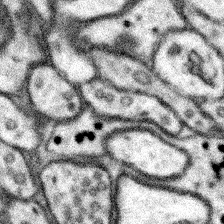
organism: Mouse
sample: Somatosensory cortex neuropil